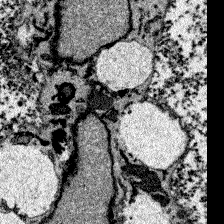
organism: Zebrafish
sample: Larval olfactory bulb